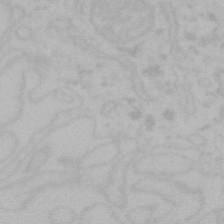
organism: Mouse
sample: Choroid plexus